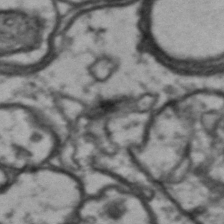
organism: Drosophila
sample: Brain